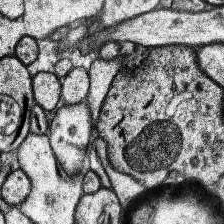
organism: Human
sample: Temporal Lobe